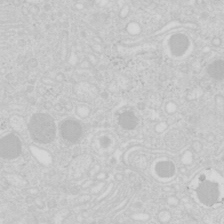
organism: Mouse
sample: Pancreas